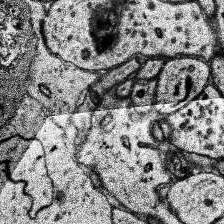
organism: Human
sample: Temporal Lobe